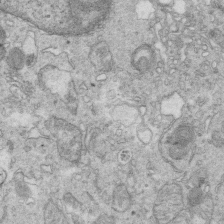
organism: Mouse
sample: Multiciliated cells